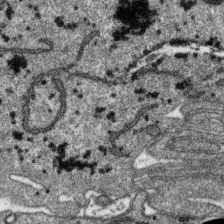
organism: Human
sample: Lung epithelial cells infected with SARS-CoV-2